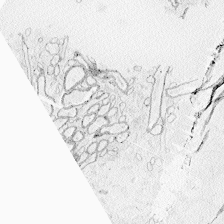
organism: Zebrafish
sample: Whole-Brain